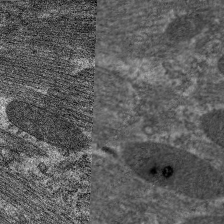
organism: C. elegans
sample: Pharynx